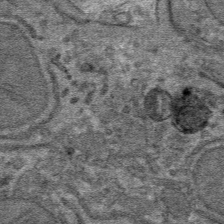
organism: Mouse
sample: Mouse hepatocytes